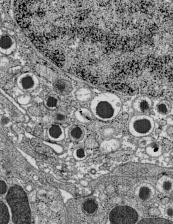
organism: C57BL Mouse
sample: Pancreatic islet